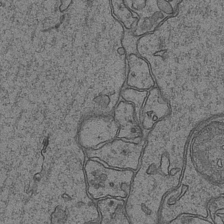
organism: Mouse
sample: CA1 Hippocampus